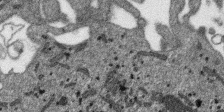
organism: Human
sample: Lung epithelial cells infected with SARS-CoV-2